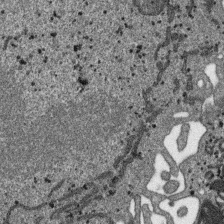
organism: Human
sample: Lung epithelial cells infected with SARS-CoV-2